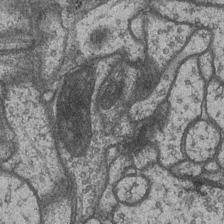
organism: Drosophila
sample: Optic medulla